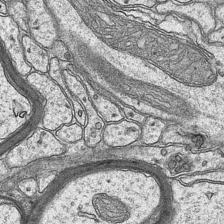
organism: Mouse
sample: CA1 Hippocampus